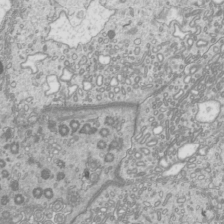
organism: Mouse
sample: Cilia; mouse epididymis